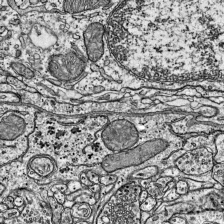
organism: Mouse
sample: Visual Cortex